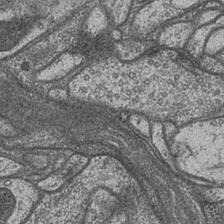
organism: Drosophila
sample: Optic medulla